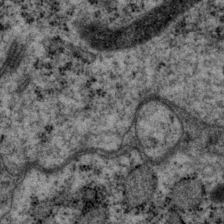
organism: P. pacificus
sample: Pharynx